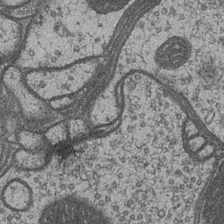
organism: Drosophila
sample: Optic medulla